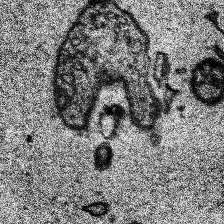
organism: Human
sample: Temporal Lobe